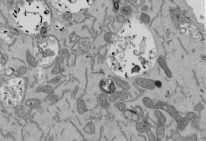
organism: Mouse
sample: ED-1 cell nuclei; centrioles